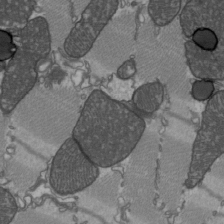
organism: C57BL Mouse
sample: Heart